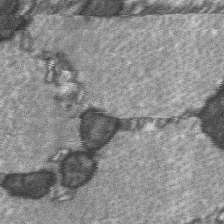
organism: C57BL Mouse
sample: Soleus